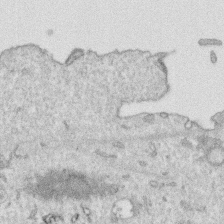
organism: Human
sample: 1205lu cells